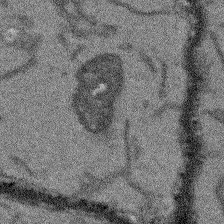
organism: Arabidopsis thaliana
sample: Root tip